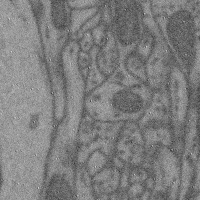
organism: Mouse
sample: Cerebral cortex